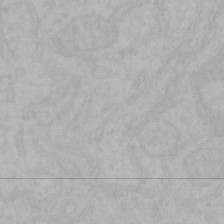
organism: Mouse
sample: Choroid plexus